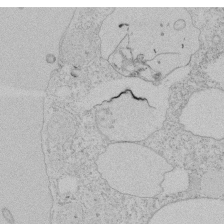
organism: Tetrahymena